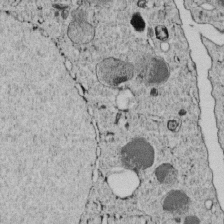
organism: C. elegans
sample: C. elegans embryo early stage